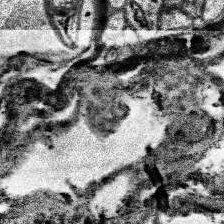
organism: Human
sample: Temporal Lobe